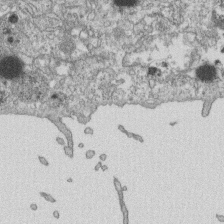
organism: Human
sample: HeLa cell HIV synapse